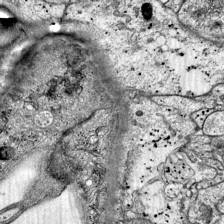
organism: Mouse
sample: Visual Cortex